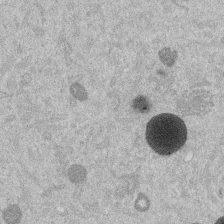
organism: Mouse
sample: Dividing mouse embryo 1 cell stage